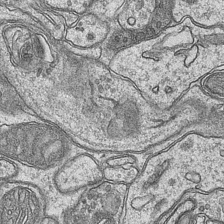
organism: Mouse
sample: CA1 Hippocampus